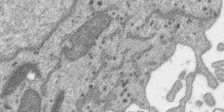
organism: Human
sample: Lung epithelial cells infected with SARS-CoV-2